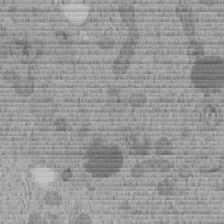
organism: C. elegans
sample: C. elegans embryo early stage